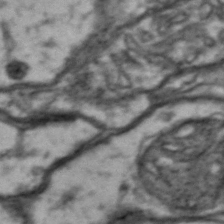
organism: Drosophila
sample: Brain